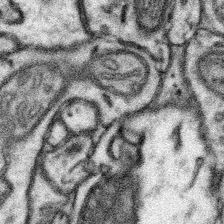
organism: Mouse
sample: Somatosensory cortex neuropil